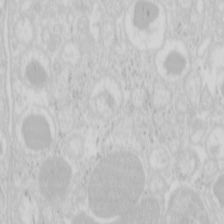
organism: Mouse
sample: Pancreas